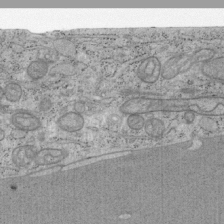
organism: Human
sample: HeLa cells